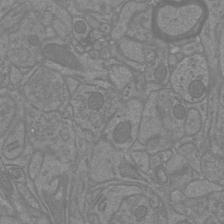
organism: Mouse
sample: Cortical neurons